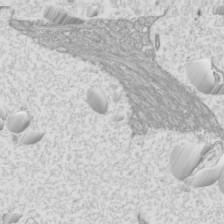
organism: Mouse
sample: Cilia; mouse epididymis